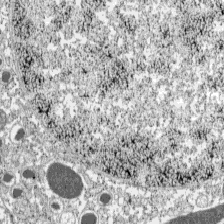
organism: C57BL Mouse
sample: Pancreatic islet